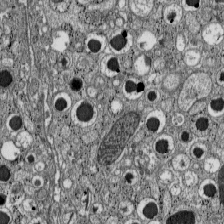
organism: C57BL Mouse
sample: Pancreatic islet